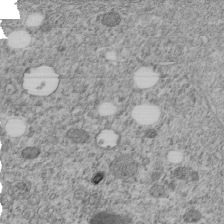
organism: C. elegans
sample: C. elegans embryo early stage